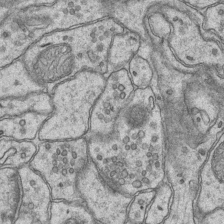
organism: Mouse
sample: CA1 Hippocampus